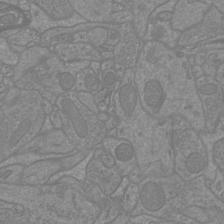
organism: Mouse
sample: Cortical neurons